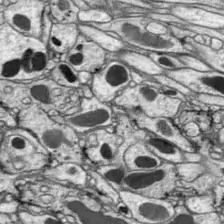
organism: Drosophila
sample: Optic lobe